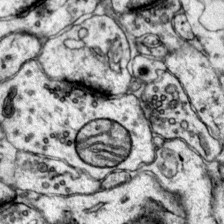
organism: Mouse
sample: Primary visual cortex